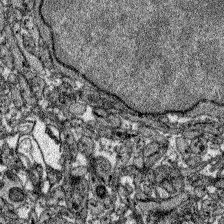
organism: Zebrafish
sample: Larval olfactory bulb